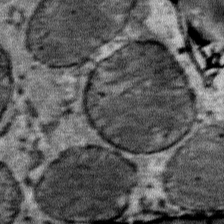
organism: Mouse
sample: Mouse Salivary gland